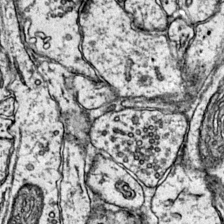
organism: Mouse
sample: Primary visual cortex